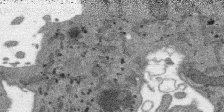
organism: Human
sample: Lung epithelial cells infected with SARS-CoV-2